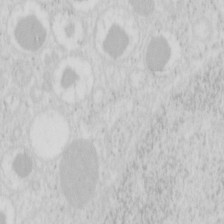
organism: Mouse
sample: Pancreas